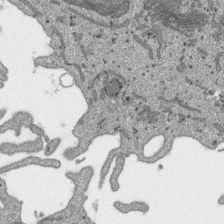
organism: Human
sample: Lung epithelial cells infected with SARS-CoV-2